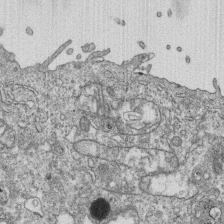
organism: Human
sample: HeLa cell HIV synapse